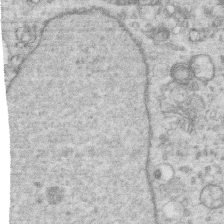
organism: Human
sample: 1205lu cells